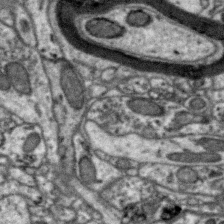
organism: Zebra finch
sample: Brain